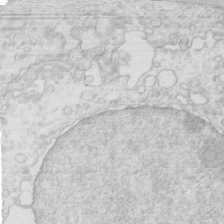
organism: Mouse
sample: Multiciliated cells